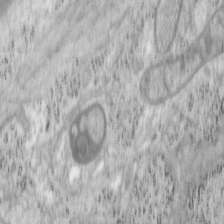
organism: Human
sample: HeLa cells